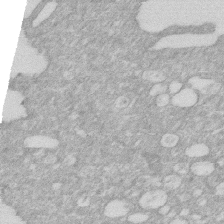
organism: Human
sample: HIV infected U937 cells